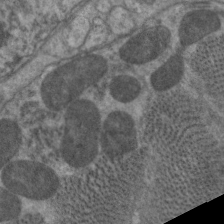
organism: C. elegans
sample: Pharynx